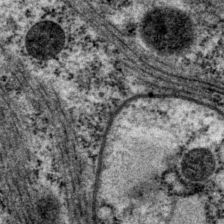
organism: P. pacificus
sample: Pharynx